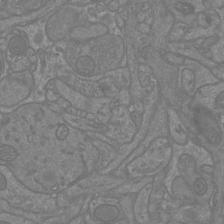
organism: Mouse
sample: Cortical neurons